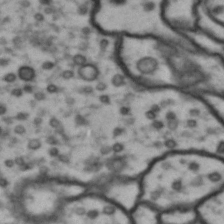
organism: Drosophila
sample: Brain